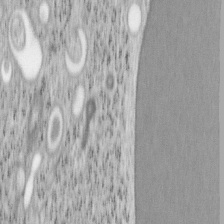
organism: Human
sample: HeLa cells